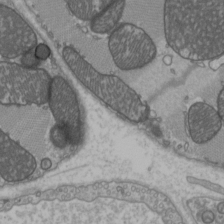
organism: C57BL Mouse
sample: Heart